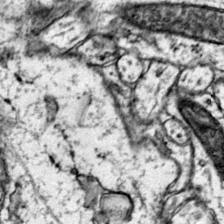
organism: Mouse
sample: Primary visual cortex